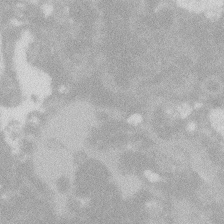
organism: Zebrafish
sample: Macrophage